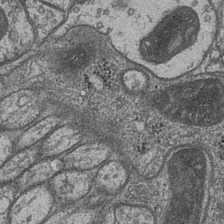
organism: Drosophila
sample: Optic medulla